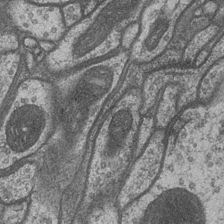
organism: Drosophila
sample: Optic medulla